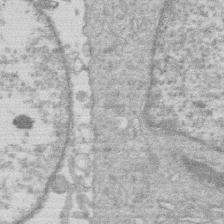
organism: Human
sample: Macrophage cells